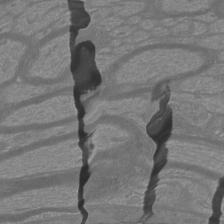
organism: Mouse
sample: Cortical neurons